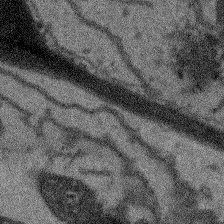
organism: Arabidopsis thaliana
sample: Root tip